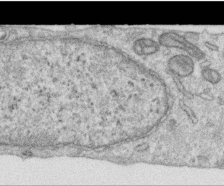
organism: Human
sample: Centriole in RPE cells